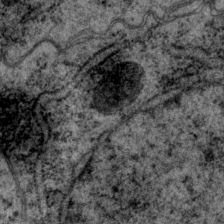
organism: P. pacificus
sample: Pharynx